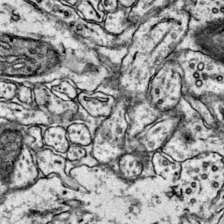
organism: Mouse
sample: Primary visual cortex